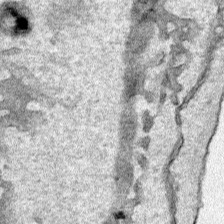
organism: Human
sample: Mitochondria in HCT116 cells